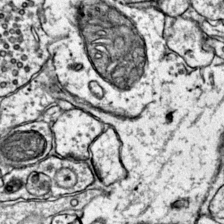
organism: Mouse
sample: Primary visual cortex